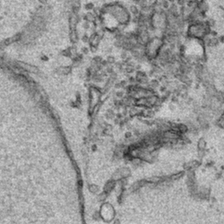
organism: Human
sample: Mitochondria in HCT116 cells